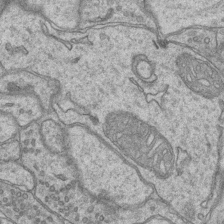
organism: Mouse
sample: CA1 Hippocampus